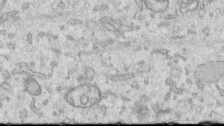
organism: Human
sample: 1205lu cells